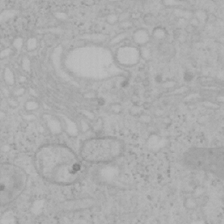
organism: Mouse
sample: OT-I killer T cells with ID8 ovarian cancer cells